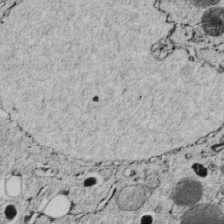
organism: C. elegans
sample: C. elegans embryo early stage